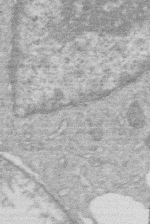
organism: Human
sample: Macrophage cells